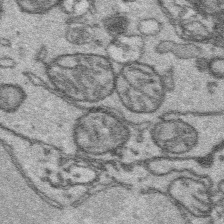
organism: Platynereis dumerilii